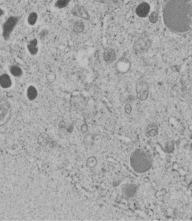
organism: C. elegans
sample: C. elegans embryo early stage